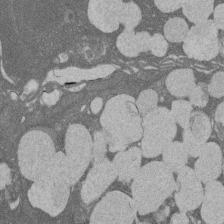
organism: Rat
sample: Salivary granule